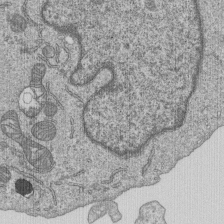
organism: Human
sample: MDA-MB-231 cells